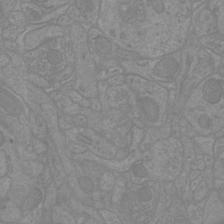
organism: Mouse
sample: Cortical neurons